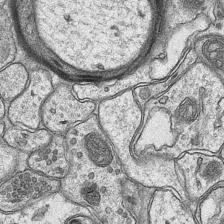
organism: Mouse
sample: CA1 Hippocampus